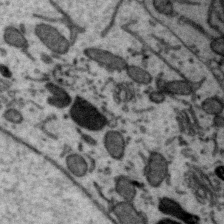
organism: Zebra finch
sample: Brain